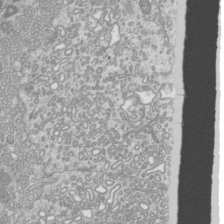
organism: Mouse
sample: Cilia; mouse epididymis